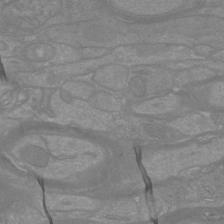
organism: Mouse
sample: Cortical neurons